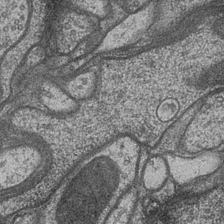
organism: Drosophila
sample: Optic medulla